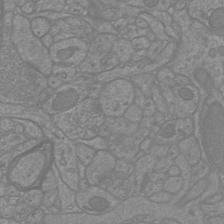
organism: Mouse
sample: Cortical neurons